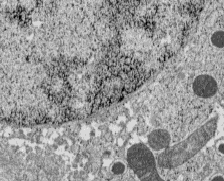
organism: C57BL Mouse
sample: Pancreatic islet